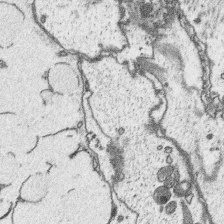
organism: Platynereis dumerilii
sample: Parapodia